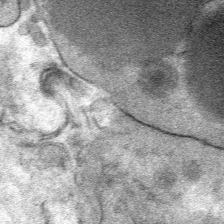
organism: Mouse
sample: Mouse Salivary gland